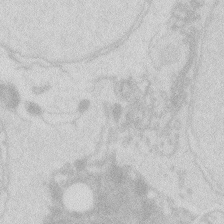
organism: Zebrafish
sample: Macrophage